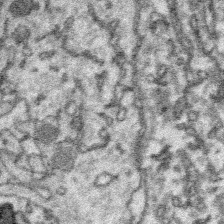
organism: Platynereis dumerilii